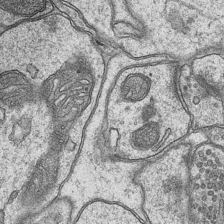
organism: Mouse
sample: CA1 Hippocampus